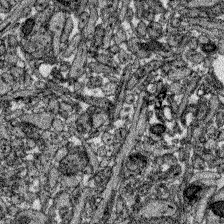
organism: Zebrafish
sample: Larval olfactory bulb